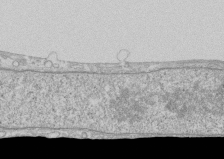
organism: Human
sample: CRL-1474